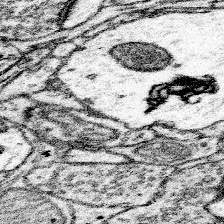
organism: Mouse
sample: Somatosensory cortex neuropil